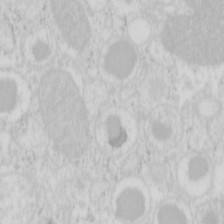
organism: Mouse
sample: Pancreas